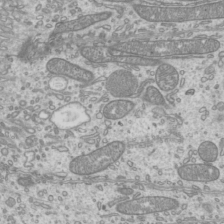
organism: Mouse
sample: Cilia; mouse epididymis